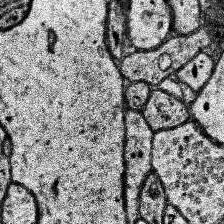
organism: Human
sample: Temporal Lobe